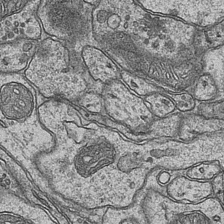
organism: Mouse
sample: CA1 Hippocampus